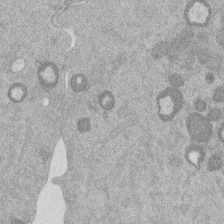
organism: Mouse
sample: Dividing mouse embryo 1 cell stage